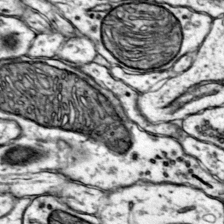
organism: Mouse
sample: Primary visual cortex